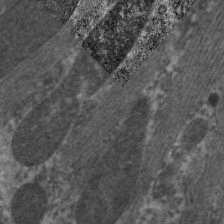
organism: C. elegans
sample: Pharynx